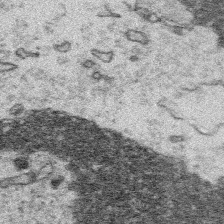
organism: Platynereis dumerilii